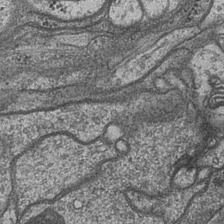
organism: Drosophila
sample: Optic medulla